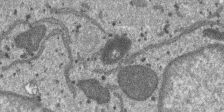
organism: Human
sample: Lung epithelial cells infected with SARS-CoV-2